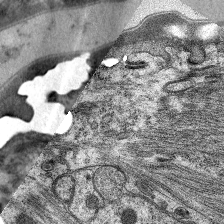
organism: C. elegans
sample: Pharynx